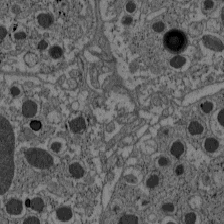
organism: C57BL Mouse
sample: Pancreatic islet